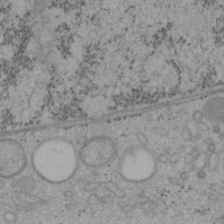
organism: Human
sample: HeLa cells